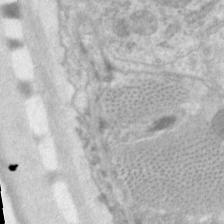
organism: C. elegans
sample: Pharynx